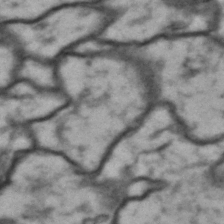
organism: Drosophila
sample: Brain